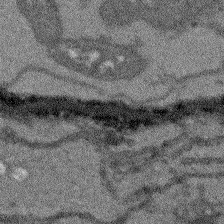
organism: Arabidopsis thaliana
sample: Root tip